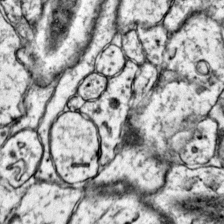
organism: Mouse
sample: Primary visual cortex